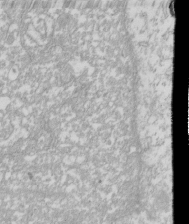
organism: Xenopus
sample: Cilia; centrioles in frog embryo cells